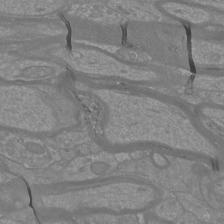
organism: Mouse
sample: Cortical neurons